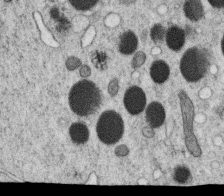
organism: C. elegans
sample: C. elegans oocyte; sperm cells